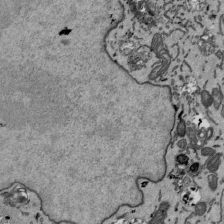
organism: Mouse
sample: ED-1 cell nuclei; centrioles